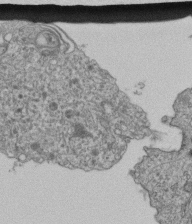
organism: Human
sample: Retinal organoid Rod and Cone cells